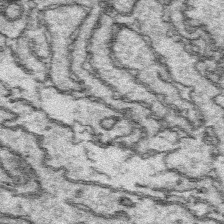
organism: Platynereis dumerilii